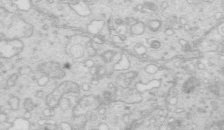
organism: Mouse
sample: Multiciliated cells